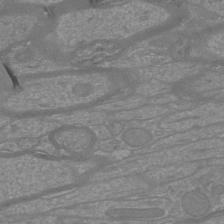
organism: Mouse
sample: Cortical neurons